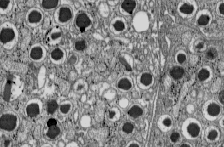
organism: C57BL Mouse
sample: Pancreatic islet